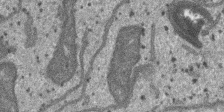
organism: Human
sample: Lung epithelial cells infected with SARS-CoV-2